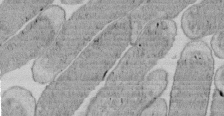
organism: E. coli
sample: Bacterial nucleoid